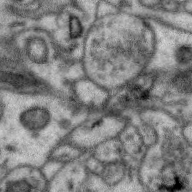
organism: Zebra finch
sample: Brain